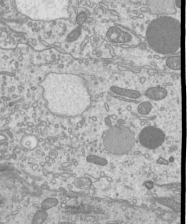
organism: Mouse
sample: Cilia; mouse epididymis